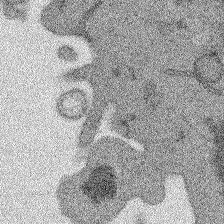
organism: Human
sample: HeLa cells